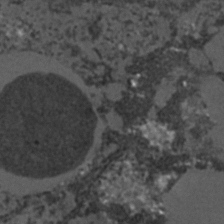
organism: C. elegans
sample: C. elegans embryo